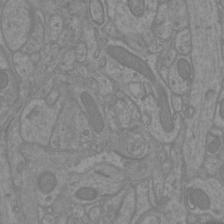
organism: Mouse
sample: Cortical neurons